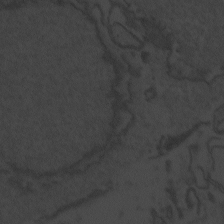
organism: Zebrafish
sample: Macrophage infected with Toxoplasma gondii